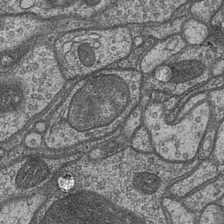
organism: Drosophila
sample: Optic medulla